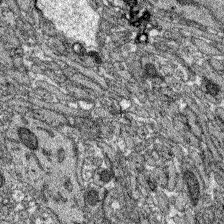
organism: Zebrafish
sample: Larval olfactory bulb